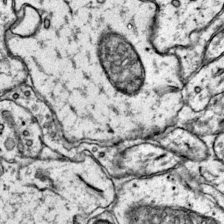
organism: Mouse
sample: Primary visual cortex